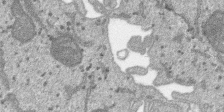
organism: Human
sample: Lung epithelial cells infected with SARS-CoV-2